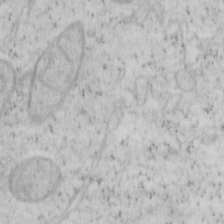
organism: Human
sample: HeLa cells